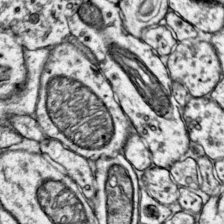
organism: Mouse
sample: Primary visual cortex